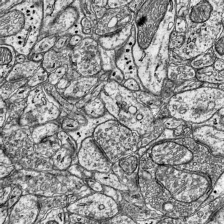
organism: Mouse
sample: Visual Cortex